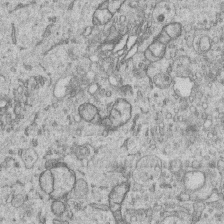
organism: Human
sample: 1205lu cells